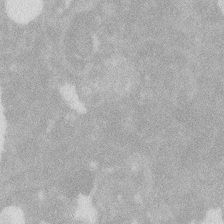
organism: Zebrafish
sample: Macrophage